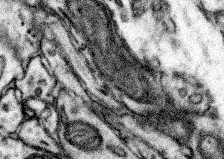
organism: Mouse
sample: Somatosensory cortex neuropil